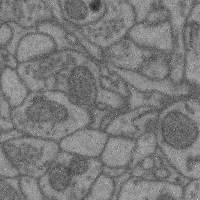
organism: Mouse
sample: Cerebral cortex